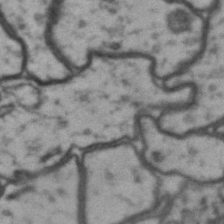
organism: Drosophila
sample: Brain